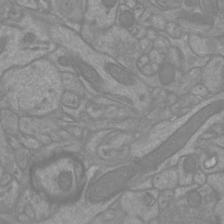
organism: Mouse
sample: Cortical neurons